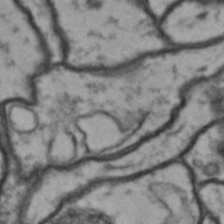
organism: Drosophila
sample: Brain